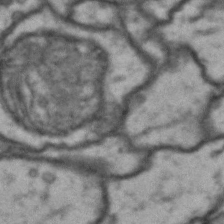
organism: Drosophila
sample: Brain